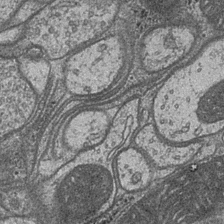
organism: Drosophila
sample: Optic medulla